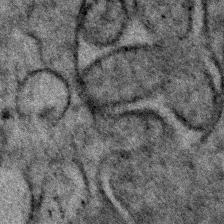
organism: Human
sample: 1205lu cells